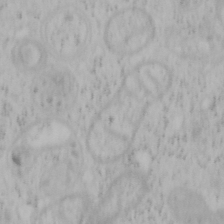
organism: Mouse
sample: OT-I killer T cells with ID8 ovarian cancer cells